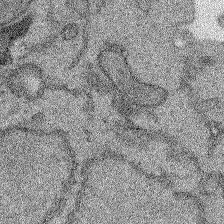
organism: Human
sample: HeLa cells